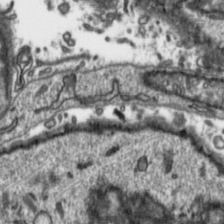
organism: Toxoplasma gondii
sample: Parasites in a vacuole inside a host cell